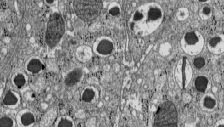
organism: C57BL Mouse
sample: Pancreatic islet